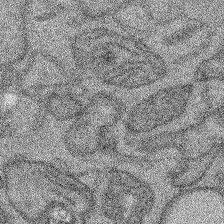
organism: Human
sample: HeLa cells